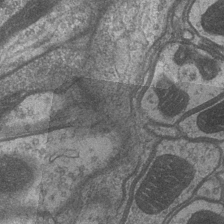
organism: Drosophila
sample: Optic medulla